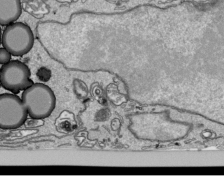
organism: Human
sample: Mitochondria in HCT116 cells